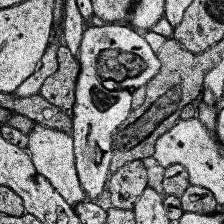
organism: Human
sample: Temporal Lobe